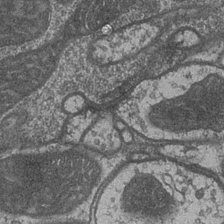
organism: Drosophila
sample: Optic medulla